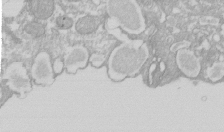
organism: Xenopus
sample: Cilia; centrioles in frog embryo cells